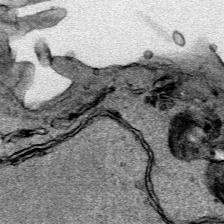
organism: Human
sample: Mitochondria in HCT116 cells